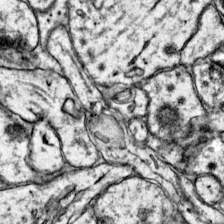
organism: Mouse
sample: Primary visual cortex